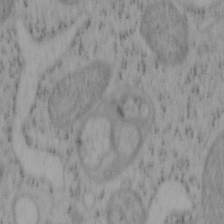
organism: Mouse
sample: OT-I killer T cells with ID8 ovarian cancer cells